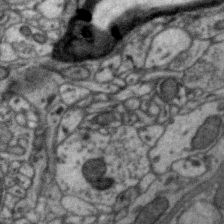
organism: Zebra finch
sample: Brain